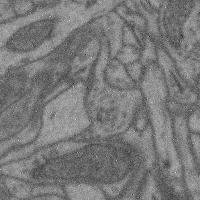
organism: Mouse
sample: Cerebral cortex